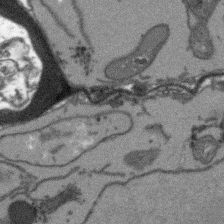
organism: Arabidopsis thaliana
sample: Root tip